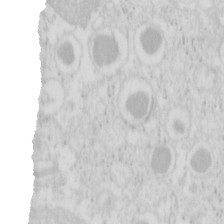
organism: Mouse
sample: Pancreas